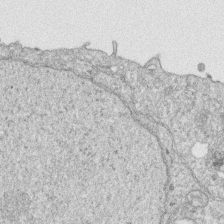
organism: Human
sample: HeLa cell HIV synapse